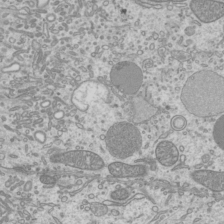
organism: Mouse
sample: Cilia; mouse epididymis